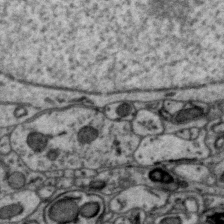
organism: Zebra finch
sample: Brain